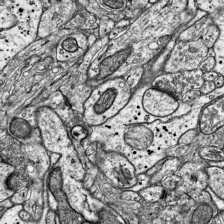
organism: Mouse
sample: Visual Cortex